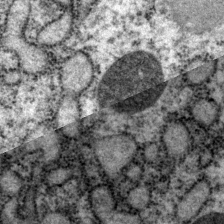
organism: P. pacificus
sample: Pharynx